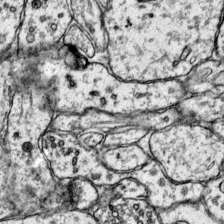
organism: Mouse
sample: Primary visual cortex